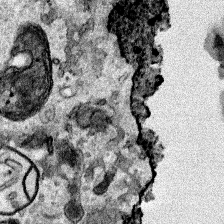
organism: Human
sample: Mitochondria in HCT116 cells